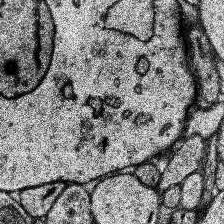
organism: Human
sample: Temporal Lobe